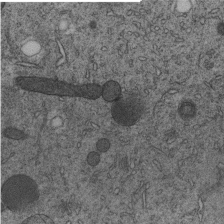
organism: C. elegans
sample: C. elegans embryo early stage